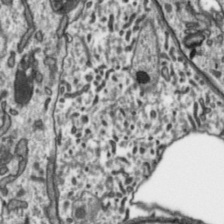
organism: Toxoplasma gondii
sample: Parasites in a vacuole inside a host cell